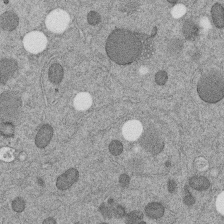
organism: C. elegans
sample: C. elegans embryo early stage